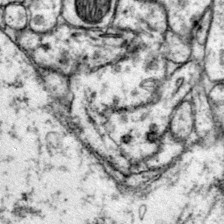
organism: Mouse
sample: Primary visual cortex